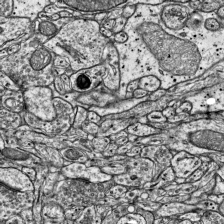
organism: Mouse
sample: Visual Cortex